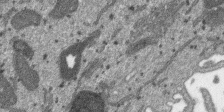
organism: Human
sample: Lung epithelial cells infected with SARS-CoV-2